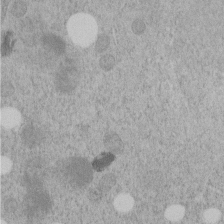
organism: C. elegans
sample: C. elegans embryo early stage